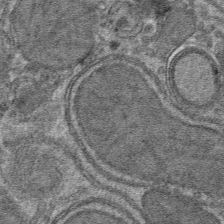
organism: Mouse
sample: Mouse hepatocytes